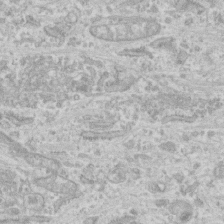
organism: Human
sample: CRL-1474